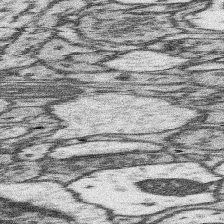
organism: Mouse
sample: Somatosensory cortex neuropil